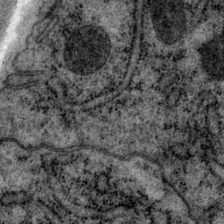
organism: P. pacificus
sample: Pharynx